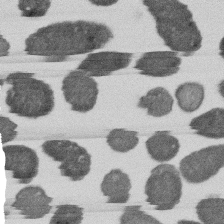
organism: E. coli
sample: Bacterial nucleoid